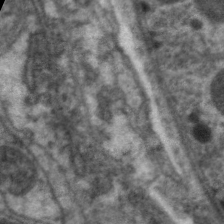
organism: C. elegans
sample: Pharynx